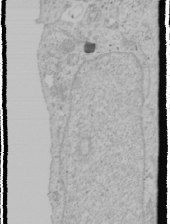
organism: Human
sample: Mitochondria in U2OS cells